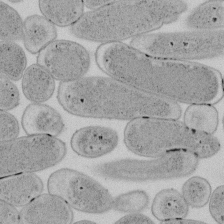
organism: E. coli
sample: Bacterial nucleoid